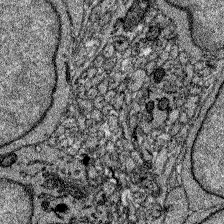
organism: Zebrafish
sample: Larval olfactory bulb